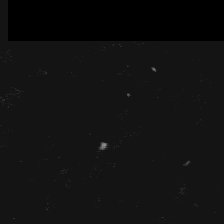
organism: Platynereis dumerilii